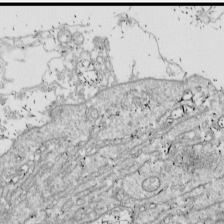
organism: Drosophila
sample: Cell division; meiosis; drosophila spermatocytes